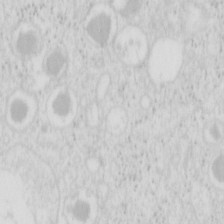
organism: Mouse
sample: Pancreas